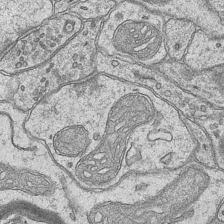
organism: Mouse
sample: CA1 Hippocampus